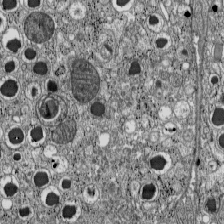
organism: C57BL Mouse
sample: Pancreatic islet